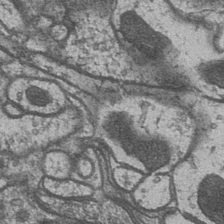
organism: Drosophila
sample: Optic medulla